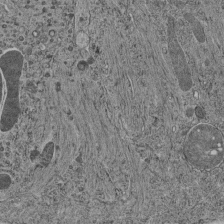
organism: C. elegans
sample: C. elegans pharynx